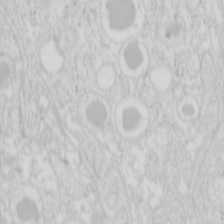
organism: Mouse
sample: Pancreas